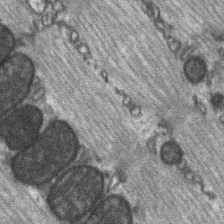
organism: C57BL Mouse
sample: Soleus